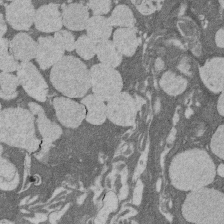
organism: Rat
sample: Salivary granule